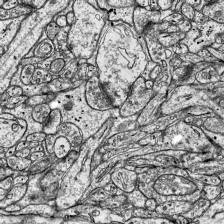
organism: Mouse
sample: Visual Cortex